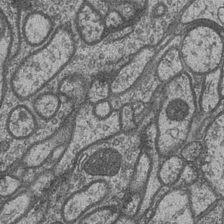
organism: Drosophila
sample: Optic medulla